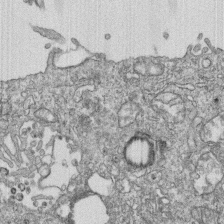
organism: Human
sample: HeLa cell HIV synapse